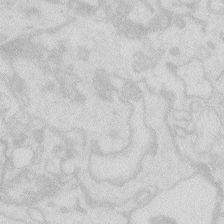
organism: Zebrafish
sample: Macrophage